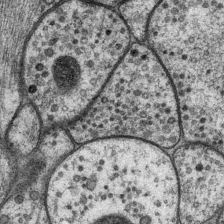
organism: P. pacificus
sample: Pharynx